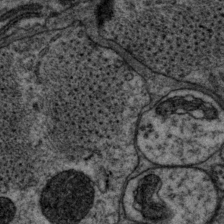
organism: P. pacificus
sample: Pharynx